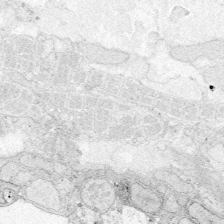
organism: Zebrafish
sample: Whole-Brain